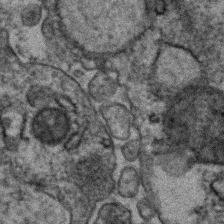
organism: Human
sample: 1205lu cells